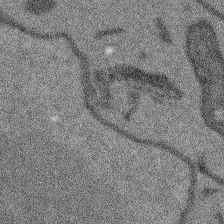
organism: Arabidopsis thaliana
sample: Root tip